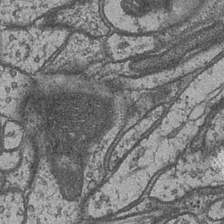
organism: Drosophila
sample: Optic medulla